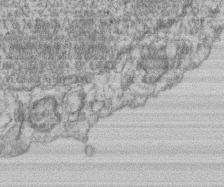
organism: Mouse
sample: T cell stromal cell synapse